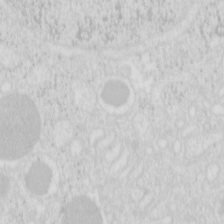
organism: Mouse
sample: Pancreas